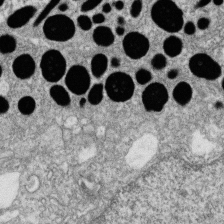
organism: Zebrafish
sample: Cilia; retinal pigment epithelium